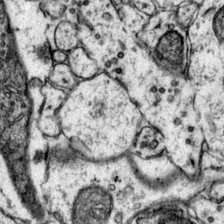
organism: Mouse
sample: Primary visual cortex